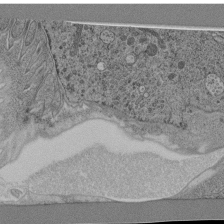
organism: C. elegans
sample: C. elegans pharynx